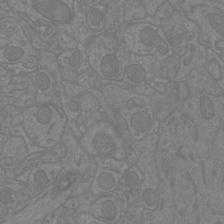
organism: Mouse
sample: Cortical neurons